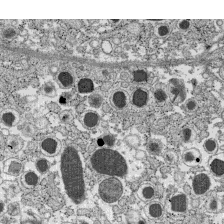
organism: C57BL Mouse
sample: Pancreatic islet